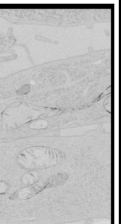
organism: Human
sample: Mitochondria in HCT116 cells